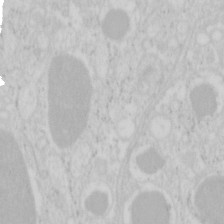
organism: Mouse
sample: Pancreas